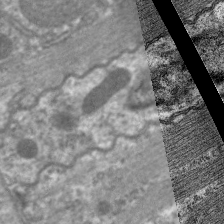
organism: C. elegans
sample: Pharynx